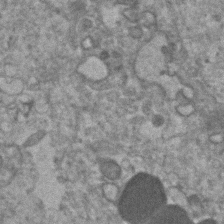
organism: Human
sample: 1205lu cells